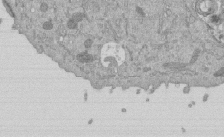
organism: Mouse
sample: ED-1 cell nuclei; centrioles